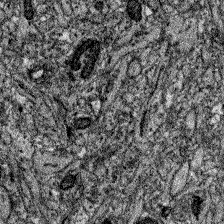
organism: Zebrafish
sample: Larval olfactory bulb